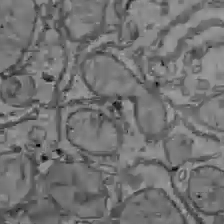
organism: C57BL Mouse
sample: Liver